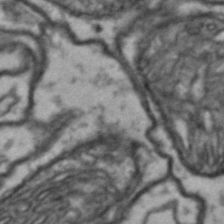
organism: Drosophila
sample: Brain